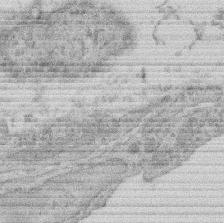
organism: Rat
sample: Salivary granule